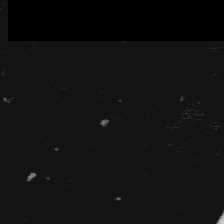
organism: Platynereis dumerilii